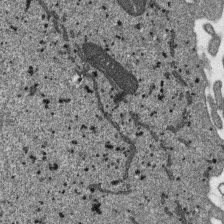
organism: Human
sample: Lung epithelial cells infected with SARS-CoV-2